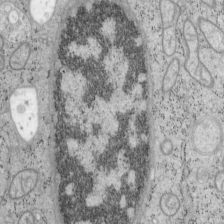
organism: Mouse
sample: OT-I killer T cells with ID8 ovarian cancer cells